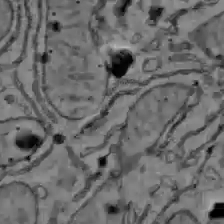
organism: C57BL Mouse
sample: Liver